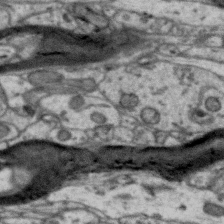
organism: Zebra finch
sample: Brain